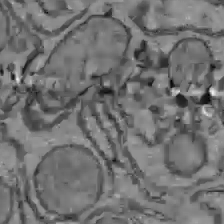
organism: C57BL Mouse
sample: Liver